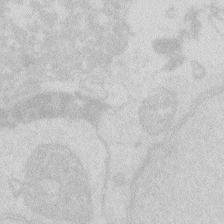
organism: Zebrafish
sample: Macrophage